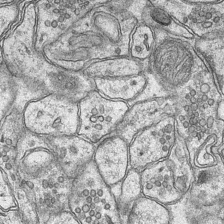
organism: Mouse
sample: CA1 Hippocampus